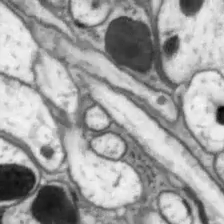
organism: Drosophila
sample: Optic lobe